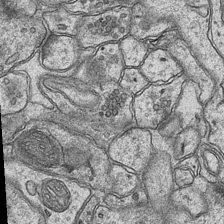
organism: Mouse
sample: CA1 Hippocampus